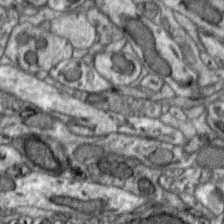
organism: Zebra finch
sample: Brain